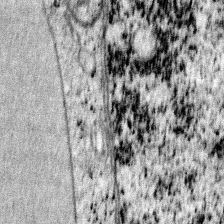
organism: Human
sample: HeLa cells